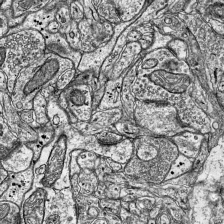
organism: Mouse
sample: Visual Cortex